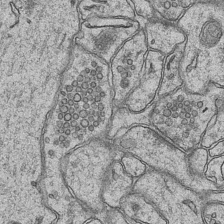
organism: Mouse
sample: CA1 Hippocampus